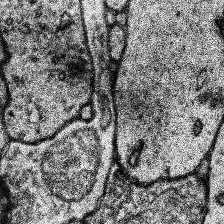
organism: Human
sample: Temporal Lobe